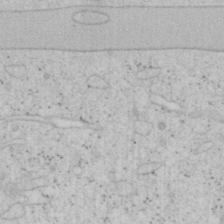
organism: Human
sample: HeLa cells